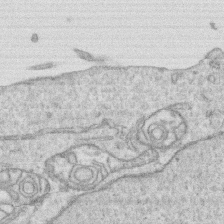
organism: Human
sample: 1205lu cells